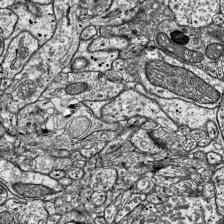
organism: Mouse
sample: Visual Cortex